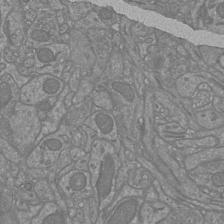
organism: Mouse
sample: Cortical neurons